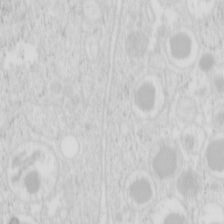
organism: Mouse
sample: Pancreas